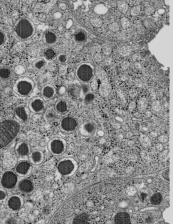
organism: C57BL Mouse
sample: Pancreatic islet